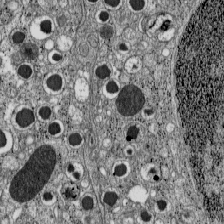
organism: C57BL Mouse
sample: Pancreatic islet